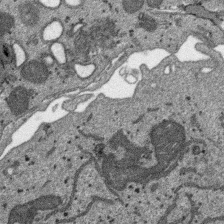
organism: Human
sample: Lung epithelial cells infected with SARS-CoV-2